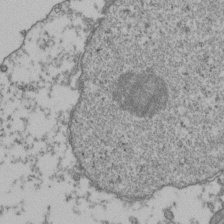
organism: Human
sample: Activated Jurkat CD4+ T cells